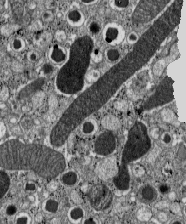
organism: C57BL Mouse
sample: Pancreatic islet